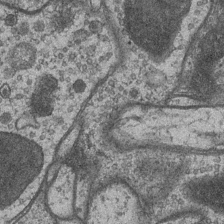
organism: Drosophila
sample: Optic medulla